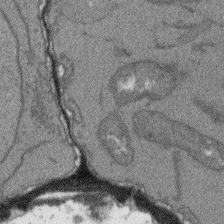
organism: Arabidopsis thaliana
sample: Root tip